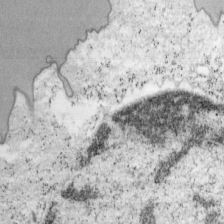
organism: Mouse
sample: OT-I killer T cells with ID8 ovarian cancer cells